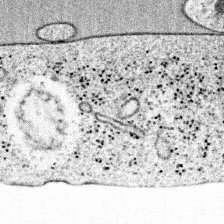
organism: Human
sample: HeLa cells